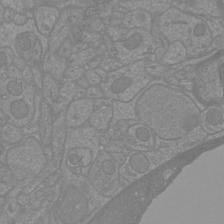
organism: Mouse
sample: Cortical neurons